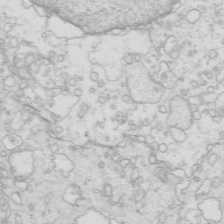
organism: Mouse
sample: Multiciliated cells